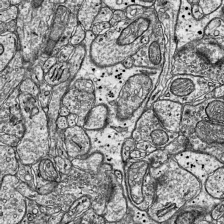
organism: Mouse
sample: Visual Cortex